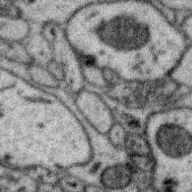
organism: Zebra finch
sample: Brain